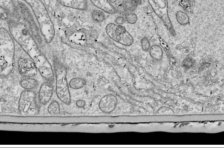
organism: Drosophila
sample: Cell division; meiosis; drosophila spermatocytes